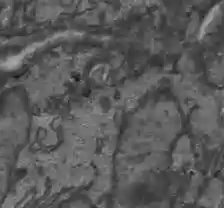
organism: C57BL Mouse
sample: Liver